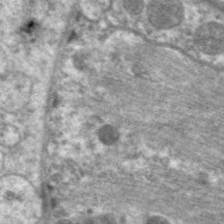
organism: C. elegans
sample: Pharynx